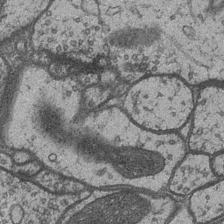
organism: Drosophila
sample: Optic medulla